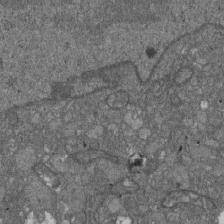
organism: Drosophila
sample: Nephrocyte